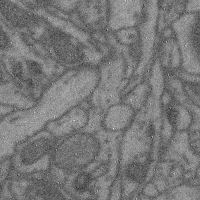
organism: Mouse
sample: Cerebral cortex